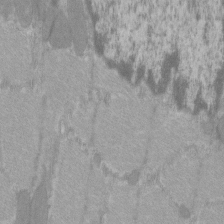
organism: C57BL Mouse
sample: Tibialis anterior muscle cell